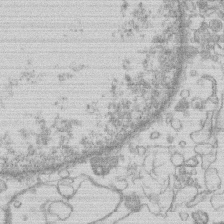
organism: Human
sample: Macrophage cells